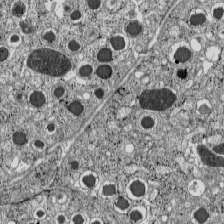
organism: C57BL Mouse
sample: Pancreatic islet